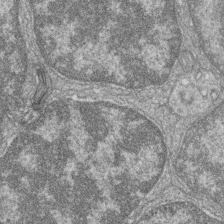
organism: Zebrafish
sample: Cilia; retinal pigment epithelium